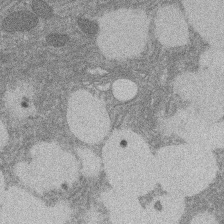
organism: Rat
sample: Salivary granule